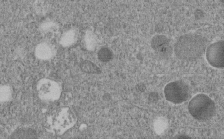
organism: C. elegans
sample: C. elegans embryo early stage